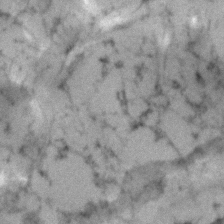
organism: Human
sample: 1205lu cells